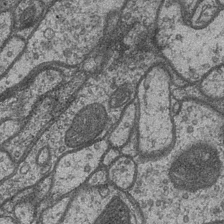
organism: Drosophila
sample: Optic medulla